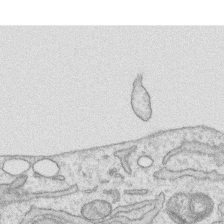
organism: Human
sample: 1205lu cells